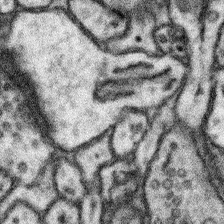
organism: Mouse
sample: Somatosensory cortex neuropil